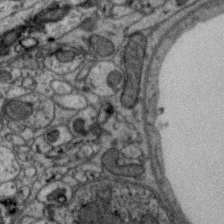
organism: Zebra finch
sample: Brain